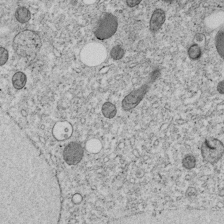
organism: C. elegans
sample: C. elegans embryo early stage